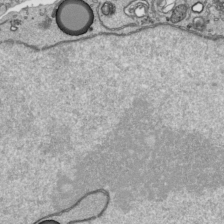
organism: Human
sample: Mitochondria in HCT116 cells